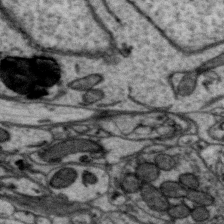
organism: Zebra finch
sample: Brain